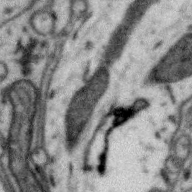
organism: Zebra finch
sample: Brain